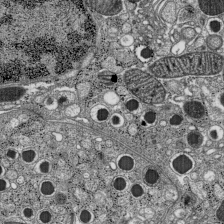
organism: C57BL Mouse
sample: Pancreatic islet